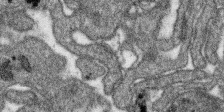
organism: Human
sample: Lung epithelial cells infected with SARS-CoV-2